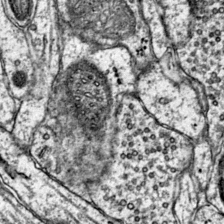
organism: Mouse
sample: Primary visual cortex